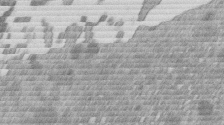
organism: Mouse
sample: Dividing mouse embryo 1 cell stage